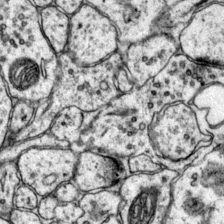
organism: Mouse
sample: Primary visual cortex